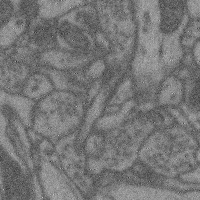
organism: Mouse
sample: Cerebral cortex